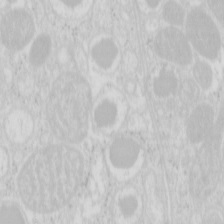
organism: Mouse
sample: Pancreas